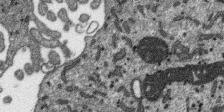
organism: Human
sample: Lung epithelial cells infected with SARS-CoV-2